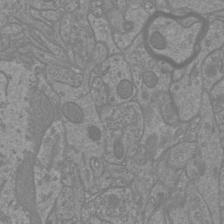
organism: Mouse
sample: Cortical neurons